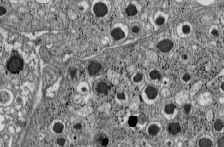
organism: C57BL Mouse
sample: Pancreatic islet